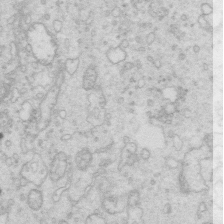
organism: Mouse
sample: Multiciliated cells